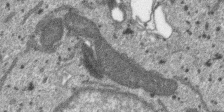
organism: Human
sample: Lung epithelial cells infected with SARS-CoV-2